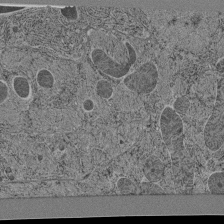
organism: C. elegans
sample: C. elegans pharynx